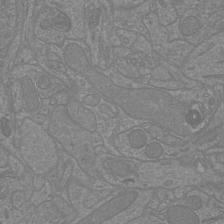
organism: Mouse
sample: Cortical neurons